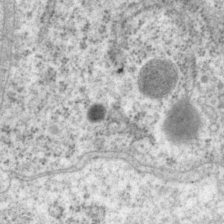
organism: P. pacificus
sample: Pharynx